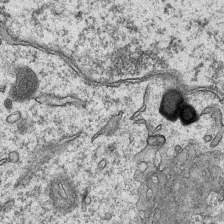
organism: Mouse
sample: CA1 Hippocampus